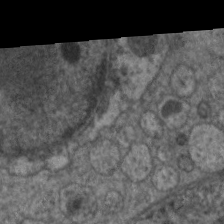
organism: C. elegans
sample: Pharynx